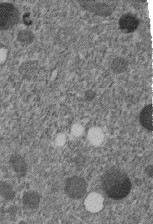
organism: C. elegans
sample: C. elegans embryo early stage